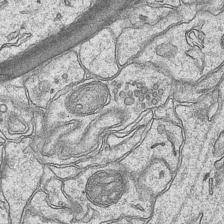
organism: Mouse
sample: CA1 Hippocampus